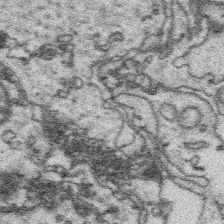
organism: Platynereis dumerilii